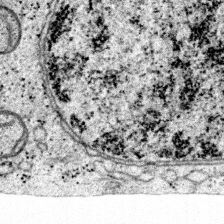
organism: Human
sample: HeLa cells